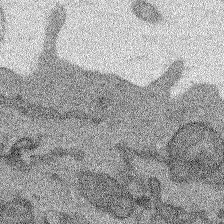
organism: Human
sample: HeLa cells